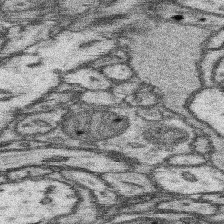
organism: Mouse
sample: Somatosensory cortex neuropil